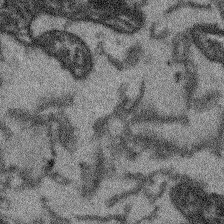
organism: Arabidopsis thaliana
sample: Root tip